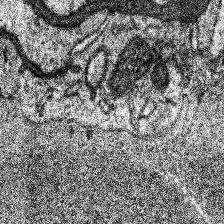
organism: Human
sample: Temporal Lobe